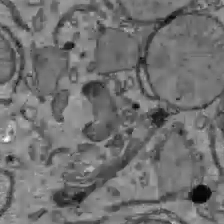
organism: C57BL Mouse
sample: Liver